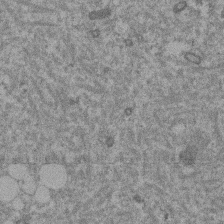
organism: Mouse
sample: Dividing mouse embryo 1 cell stage